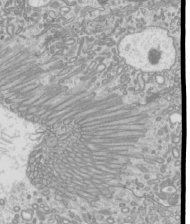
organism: Mouse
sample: Cilia; mouse epididymis